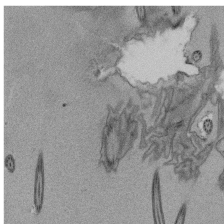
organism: Tetrahymena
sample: Cilia in tetrahymena